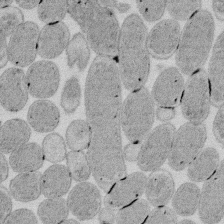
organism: E. coli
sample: Bacterial nucleoid